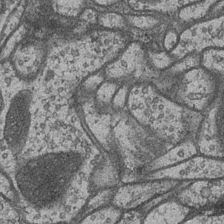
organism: Drosophila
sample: Optic medulla